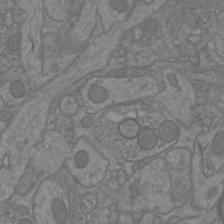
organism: Mouse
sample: Cortical neurons